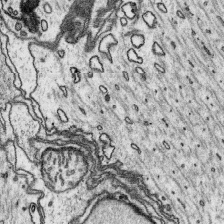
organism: Platynereis dumerilii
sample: Parapodia